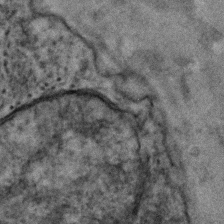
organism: Human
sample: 1205lu cells